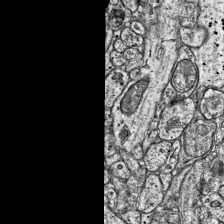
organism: Mouse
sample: Visual Cortex